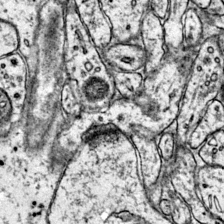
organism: Mouse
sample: Primary visual cortex